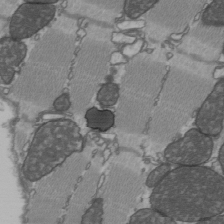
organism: C57BL Mouse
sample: Heart